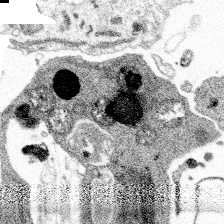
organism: Spongilla lacustris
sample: Multiple